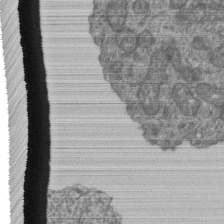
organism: Human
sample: Retinal organoid Rod and Cone cells